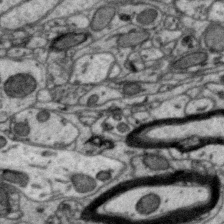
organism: Zebra finch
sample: Brain